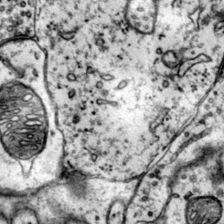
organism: Mouse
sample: Primary visual cortex